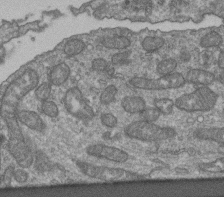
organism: Human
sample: Retinal organoid Rod and Cone cells